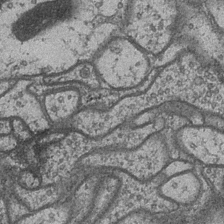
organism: Drosophila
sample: Optic medulla